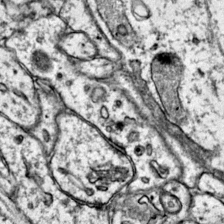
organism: Mouse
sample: Primary visual cortex